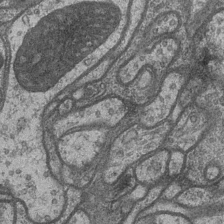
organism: Drosophila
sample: Optic medulla